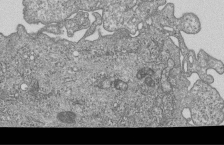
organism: Human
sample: MDA-MB-231 cells